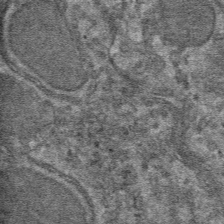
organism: Mouse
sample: Mouse hepatocytes